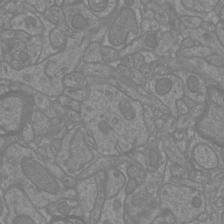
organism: Mouse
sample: Cortical neurons